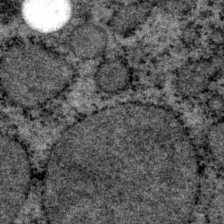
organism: P. pacificus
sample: Pharynx